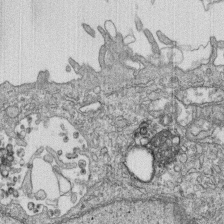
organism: Human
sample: HeLa cell HIV synapse